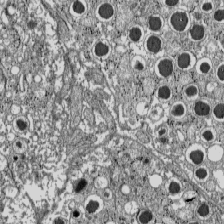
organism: C57BL Mouse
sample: Pancreatic islet